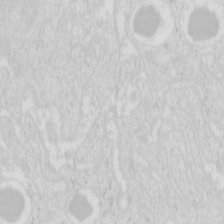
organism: Mouse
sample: Pancreas